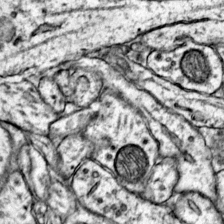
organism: Mouse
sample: Primary visual cortex